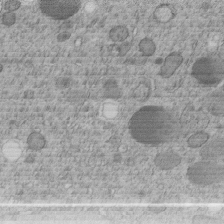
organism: C. elegans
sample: C. elegans embryo early stage